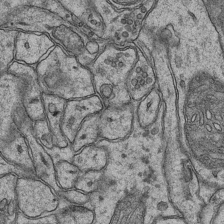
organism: Mouse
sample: CA1 Hippocampus